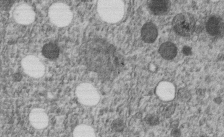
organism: C. elegans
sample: C. elegans embryo early stage